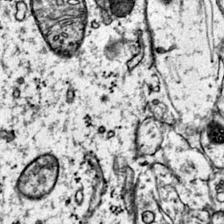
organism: Mouse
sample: Primary visual cortex